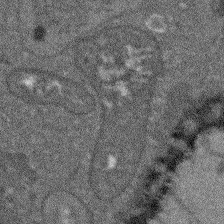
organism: Arabidopsis thaliana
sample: Root tip